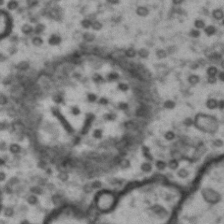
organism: Drosophila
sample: Brain